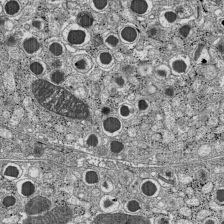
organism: C57BL Mouse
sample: Pancreatic islet